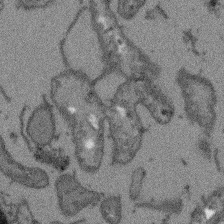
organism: Arabidopsis thaliana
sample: Root tip